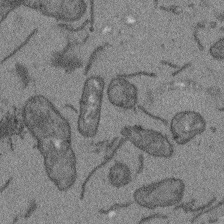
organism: Arabidopsis thaliana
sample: Root tip